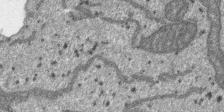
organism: Human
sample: Lung epithelial cells infected with SARS-CoV-2